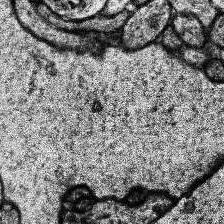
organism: Human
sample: Temporal Lobe